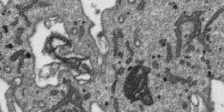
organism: Human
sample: Lung epithelial cells infected with SARS-CoV-2